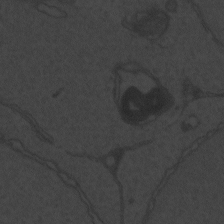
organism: Zebrafish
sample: Macrophage infected with Toxoplasma gondii